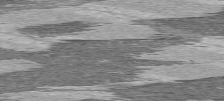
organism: C57BL Mouse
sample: Heart